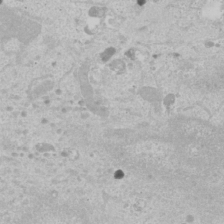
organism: Human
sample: Mitochondria in U2OS cells